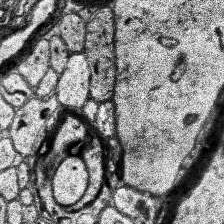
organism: Human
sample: Temporal Lobe